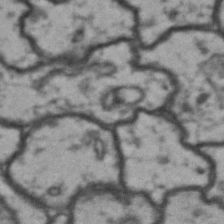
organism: Drosophila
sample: Brain